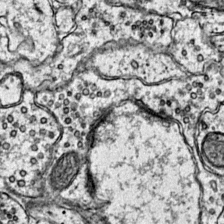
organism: Mouse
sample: Primary visual cortex